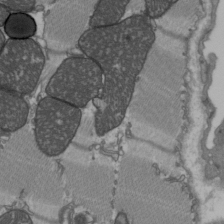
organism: C57BL Mouse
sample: Heart